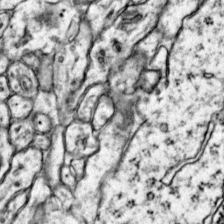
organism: Mouse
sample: Primary visual cortex